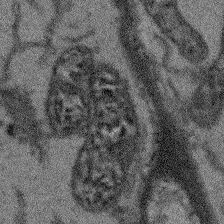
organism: Arabidopsis thaliana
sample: Root tip